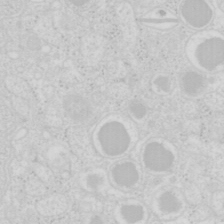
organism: Mouse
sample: Pancreas